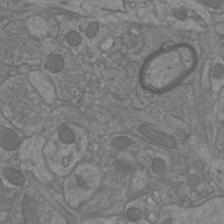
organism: Mouse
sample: Cortical neurons